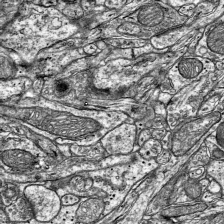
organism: Mouse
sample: Visual Cortex